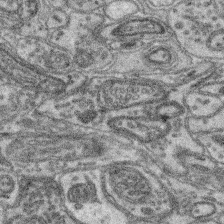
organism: Mouse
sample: Retina